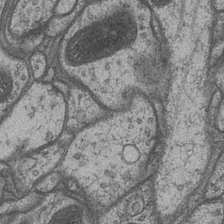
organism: Drosophila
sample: Optic medulla